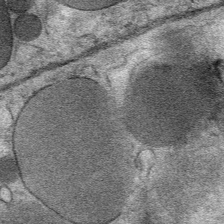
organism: Mouse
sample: Mouse Salivary gland